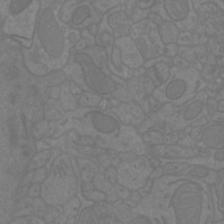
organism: Mouse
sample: Cortical neurons